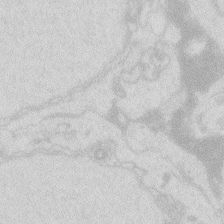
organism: Zebrafish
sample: Macrophage